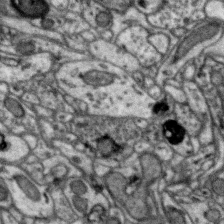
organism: Zebra finch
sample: Brain